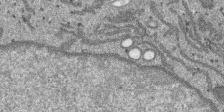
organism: Human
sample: Lung epithelial cells infected with SARS-CoV-2